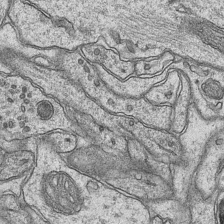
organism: Mouse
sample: CA1 Hippocampus